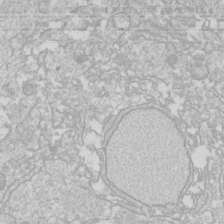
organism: Drosophila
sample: Cell division; meiosis; drosophila spermatocytes